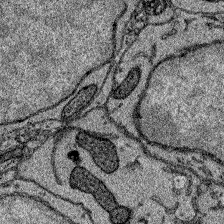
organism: Zebrafish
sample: Larval olfactory bulb